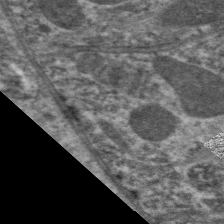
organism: C. elegans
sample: Pharynx